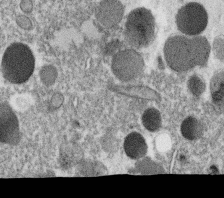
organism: C. elegans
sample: C. elegans oocyte; sperm cells